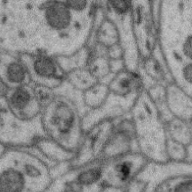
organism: Zebra finch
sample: Brain